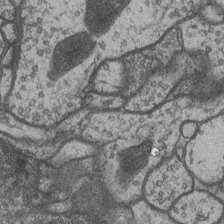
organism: Drosophila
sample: Optic medulla